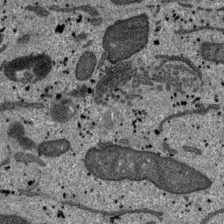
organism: Human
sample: Lung epithelial cells, uninfected (mock) control